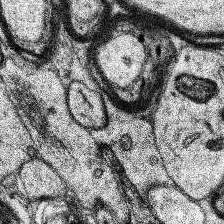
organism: Human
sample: Temporal Lobe